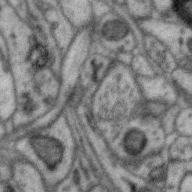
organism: Zebra finch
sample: Brain